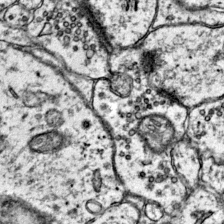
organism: Mouse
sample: Primary visual cortex